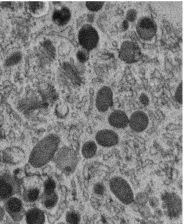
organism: C. elegans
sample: C. elegans oocyte; sperm cells